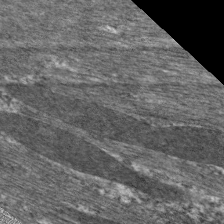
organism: C. elegans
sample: Pharynx